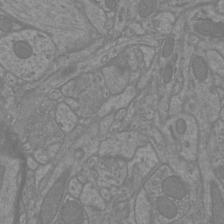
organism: Mouse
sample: Cortical neurons